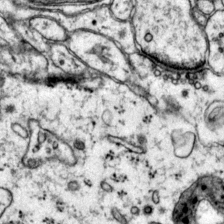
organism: Mouse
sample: Primary visual cortex